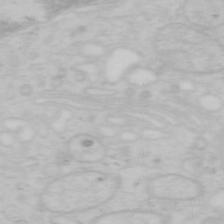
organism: Mouse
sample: OT-I killer T cells with ID8 ovarian cancer cells